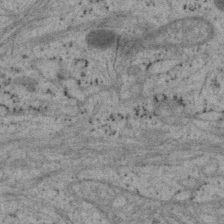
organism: Human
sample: HeLa cells